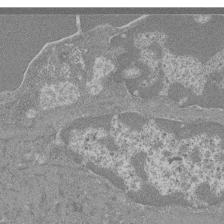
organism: Mouse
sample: Glomerulus